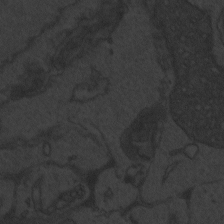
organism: Zebrafish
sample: Macrophage infected with Toxoplasma gondii